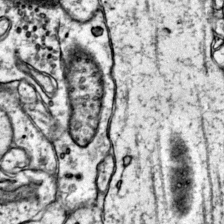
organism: Mouse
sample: Primary visual cortex